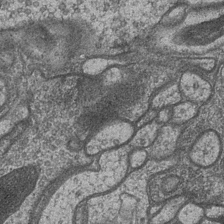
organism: Drosophila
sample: Optic medulla